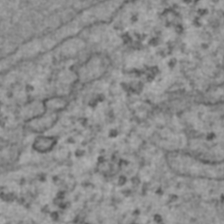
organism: Human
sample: Blood